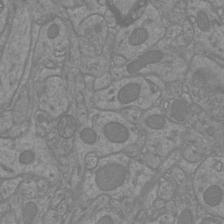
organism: Mouse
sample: Cortical neurons